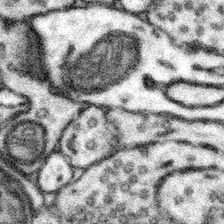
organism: Mouse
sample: Somatosensory cortex neuropil